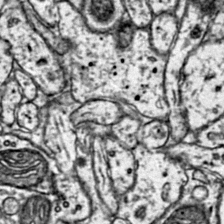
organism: Mouse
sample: Primary visual cortex